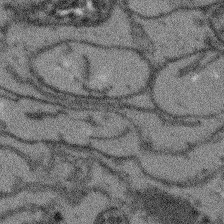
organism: Arabidopsis thaliana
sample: Root tip